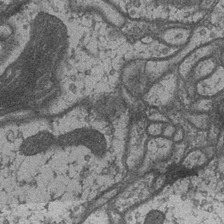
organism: Drosophila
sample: Optic medulla